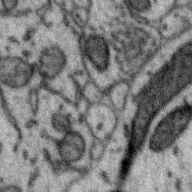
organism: Zebra finch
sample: Brain